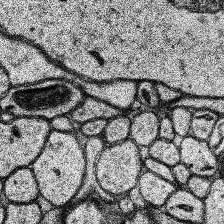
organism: Human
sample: Temporal Lobe